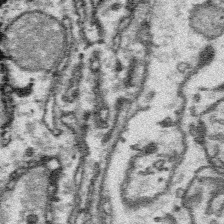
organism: Platynereis dumerilii